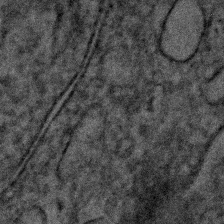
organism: Human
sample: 1205lu cells